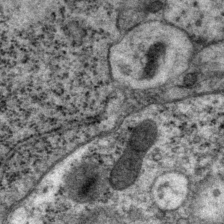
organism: P. pacificus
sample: Pharynx